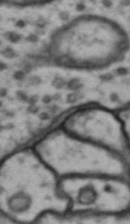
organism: Drosophila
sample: Brain